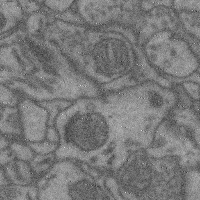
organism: Mouse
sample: Cerebral cortex